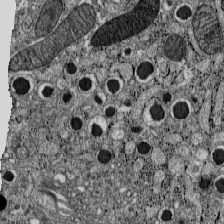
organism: C57BL Mouse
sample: Pancreatic islet